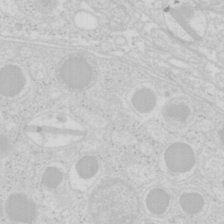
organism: Mouse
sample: Pancreas